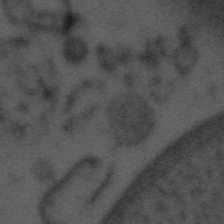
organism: Tuwongella immobilis